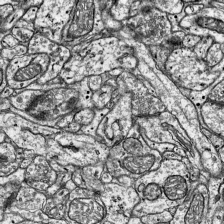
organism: Mouse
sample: Visual Cortex